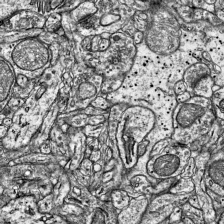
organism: Mouse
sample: Visual Cortex